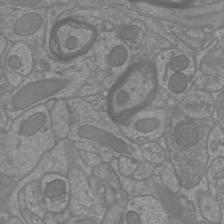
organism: Mouse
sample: Cortical neurons